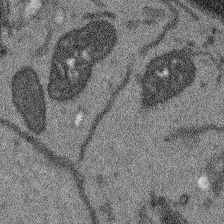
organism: Arabidopsis thaliana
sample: Root tip